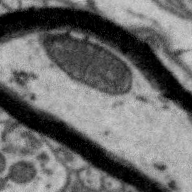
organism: Zebra finch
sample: Brain